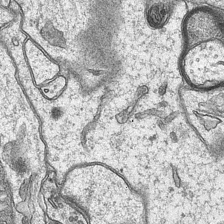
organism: Mouse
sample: CA1 Hippocampus